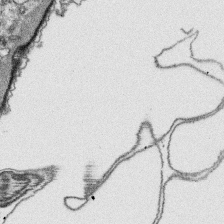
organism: Platynereis dumerilii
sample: Parapodia